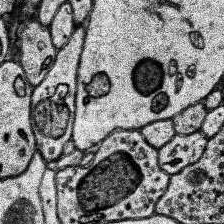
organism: Human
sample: Temporal Lobe